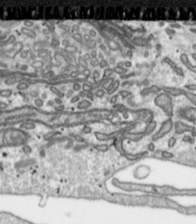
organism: Toxoplasma gondii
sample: Parasites in a vacuole inside a host cell